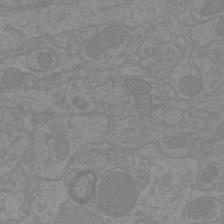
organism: Mouse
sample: Cortical neurons